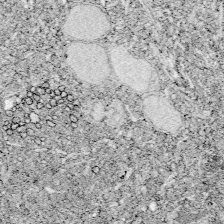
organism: Zebrafish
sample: Whole-Brain